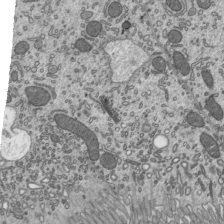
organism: Mouse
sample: Mouse epididymis efferent ductule cilia